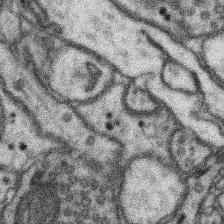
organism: Mouse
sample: Somatosensory cortex neuropil